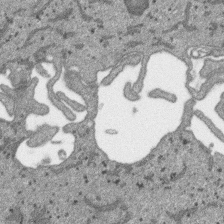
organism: Human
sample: Lung epithelial cells infected with SARS-CoV-2